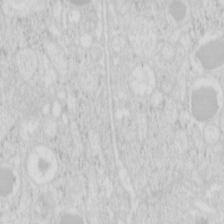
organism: Mouse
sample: Pancreas